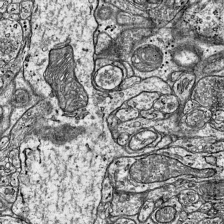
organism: Mouse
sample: Visual Cortex